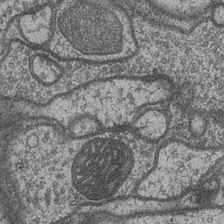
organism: Drosophila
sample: Optic medulla